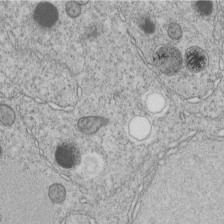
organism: C. elegans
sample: C. elegans embryo early stage